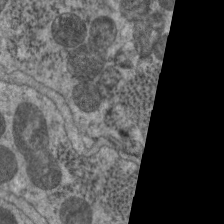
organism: C. elegans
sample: Pharynx